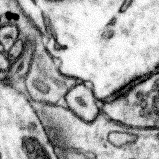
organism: Mouse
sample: Somatosensory cortex neuropil